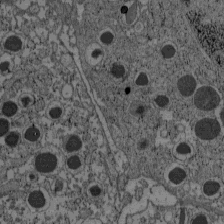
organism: C57BL Mouse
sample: Pancreatic islet